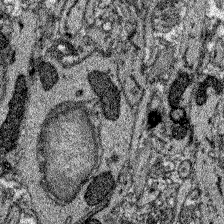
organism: Zebrafish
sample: Larval olfactory bulb